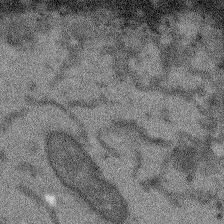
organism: Arabidopsis thaliana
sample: Root tip